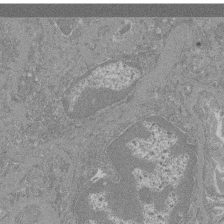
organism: Mouse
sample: Glomerulus